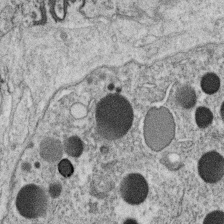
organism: C. elegans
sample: C. elegans oocyte; sperm cells